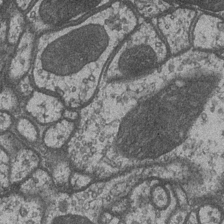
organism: Drosophila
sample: Optic medulla